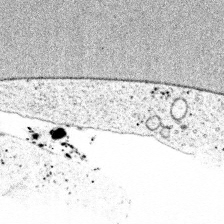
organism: Human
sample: HeLa cells